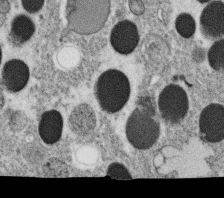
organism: C. elegans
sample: C. elegans oocyte; sperm cells